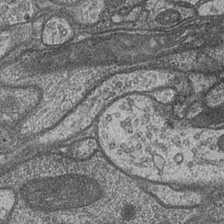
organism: Drosophila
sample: Optic medulla